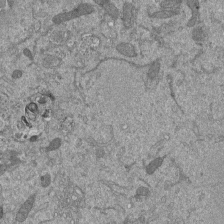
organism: Mouse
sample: ED-1 cell nuclei; centrioles